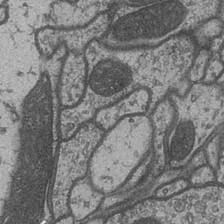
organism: Drosophila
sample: Optic medulla